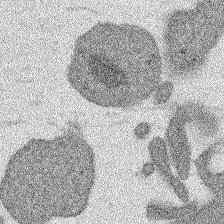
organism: Human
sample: HeLa cells